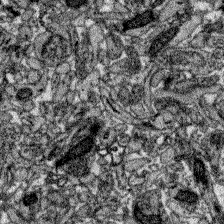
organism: Zebrafish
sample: Larval olfactory bulb